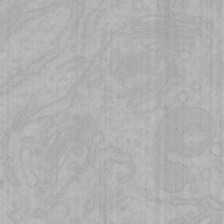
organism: Mouse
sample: Choroid plexus